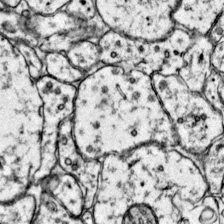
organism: Mouse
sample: Primary visual cortex